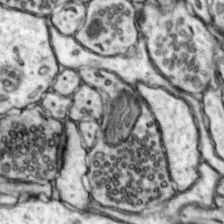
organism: Mouse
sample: Nucleus accumbens